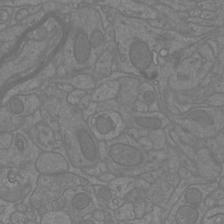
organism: Mouse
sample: Cortical neurons